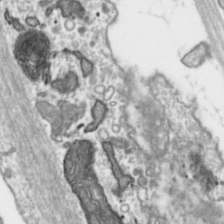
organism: Toxoplasma gondii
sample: Parasites in a vacuole inside a host cell